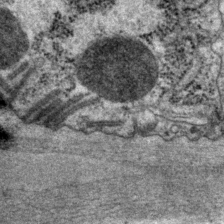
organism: P. pacificus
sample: Pharynx